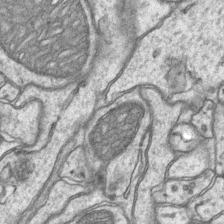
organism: Mouse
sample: CA1 Hippocampus